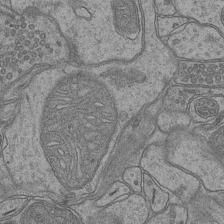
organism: Mouse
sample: CA1 Hippocampus